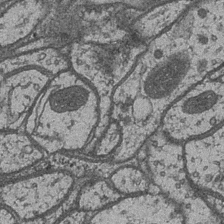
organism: Drosophila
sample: Optic medulla